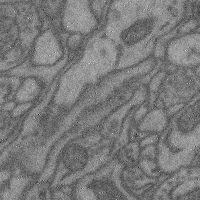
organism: Mouse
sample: Cerebral cortex